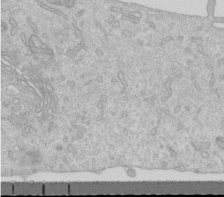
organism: Human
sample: Centriole in RPE cells